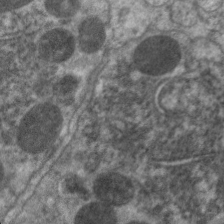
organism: C. elegans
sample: Pharynx